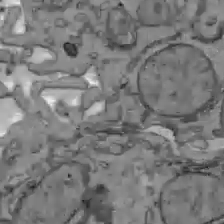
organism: C57BL Mouse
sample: Liver